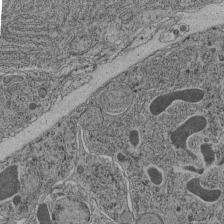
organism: C. elegans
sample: C. elegans pharynx